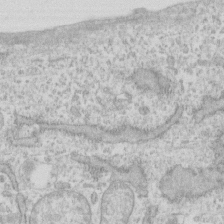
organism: Human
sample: Fibroblast cells